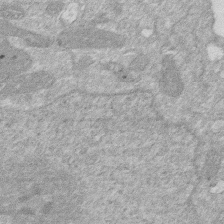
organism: Human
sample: HIV infected U937 cells